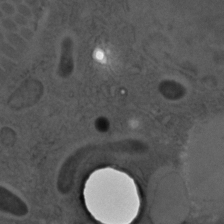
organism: C. elegans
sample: C. elegans embryo